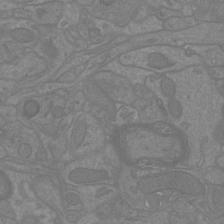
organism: Mouse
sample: Cortical neurons